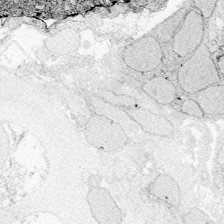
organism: Zebrafish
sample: Whole-Brain